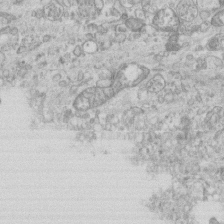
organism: Mouse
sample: Centriole in ependymal cells